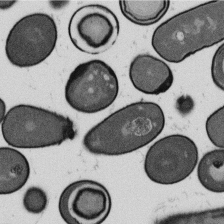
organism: B. subtilis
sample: Bacterial spore